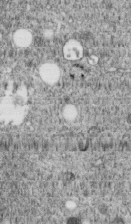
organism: C. elegans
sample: C. elegans embryo early stage